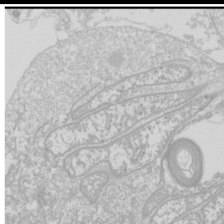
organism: Drosophila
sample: Cell division; meiosis; drosophila spermatocytes